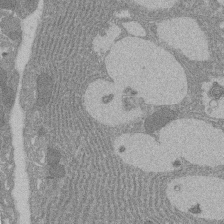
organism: Rat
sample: Salivary granule